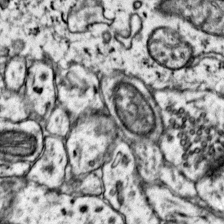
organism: Mouse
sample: Primary visual cortex